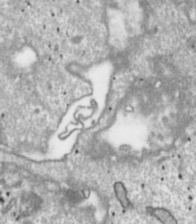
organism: Toxoplasma gondii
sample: Parasites in a vacuole inside a host cell